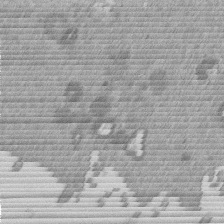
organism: Mouse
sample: Dividing mouse embryo 1 cell stage